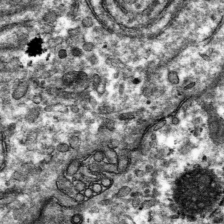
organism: Mouse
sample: Mouse hepatocytes